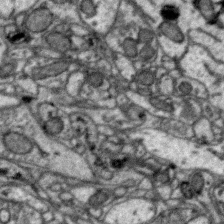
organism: Zebra finch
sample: Brain